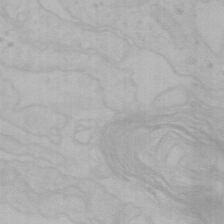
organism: Mouse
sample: Choroid plexus